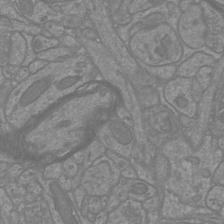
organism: Mouse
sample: Cortical neurons